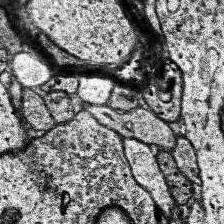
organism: Human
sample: Temporal Lobe